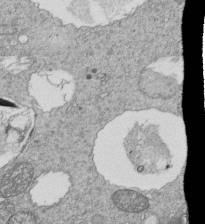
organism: Tetrahymena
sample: Cilia in tetrahymena